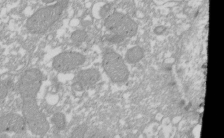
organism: Xenopus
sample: Cilia; centrioles in frog embryo cells